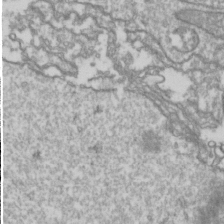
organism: Drosophila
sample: Cell division; meiosis; drosophila spermatocytes